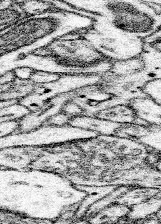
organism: Mouse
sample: Somatosensory cortex neuropil